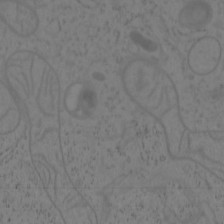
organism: Human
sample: HeLa cells